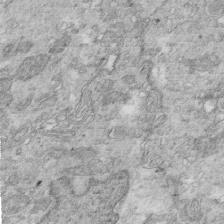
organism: Mouse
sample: Multiciliated cells